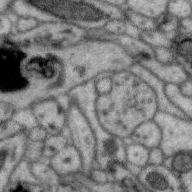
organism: Zebra finch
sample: Brain